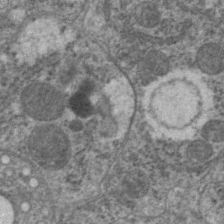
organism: C. elegans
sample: Pharynx